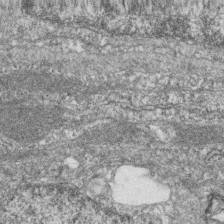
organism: Zebrafish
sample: Cilia; retinal pigment epithelium